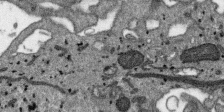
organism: Human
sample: Lung epithelial cells, uninfected (mock) control